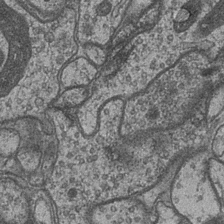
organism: Drosophila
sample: Optic medulla